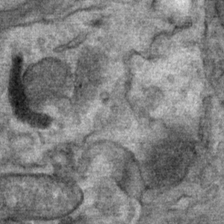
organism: Mouse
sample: Mouse Salivary gland